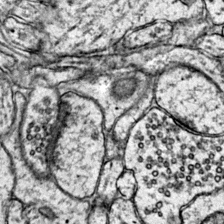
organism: Mouse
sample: Primary visual cortex